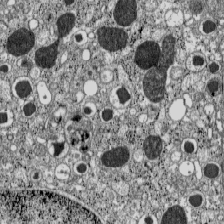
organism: C57BL Mouse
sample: Pancreatic islet